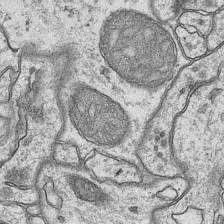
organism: Mouse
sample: CA1 Hippocampus